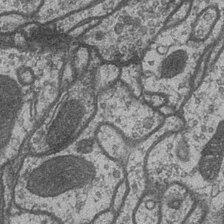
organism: Drosophila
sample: Optic medulla